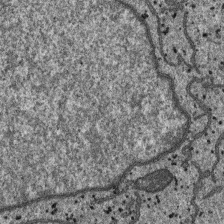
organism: Human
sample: Lung epithelial cells infected with SARS-CoV-2